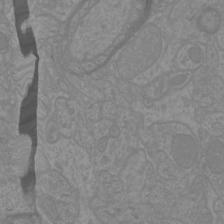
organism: Mouse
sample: Cortical neurons